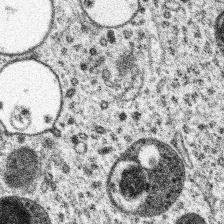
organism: Human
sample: HeLa cells